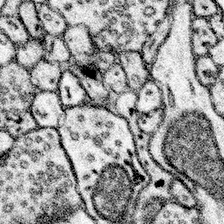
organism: Mouse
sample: Somatosensory cortex neuropil